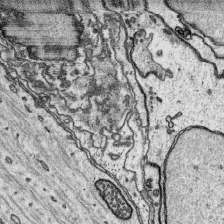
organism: Platynereis dumerilii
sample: Parapodia